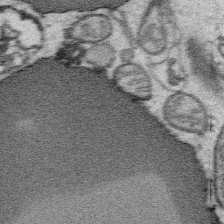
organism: Platynereis dumerilii